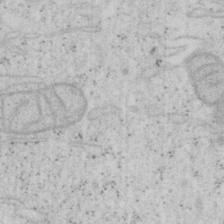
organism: Human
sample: HeLa cells